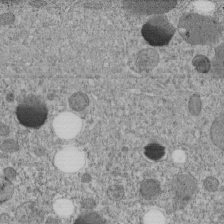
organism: C. elegans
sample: C. elegans embryo early stage